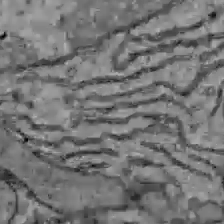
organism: C57BL Mouse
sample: Liver